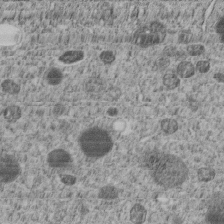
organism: C. elegans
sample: C. elegans embryo early stage